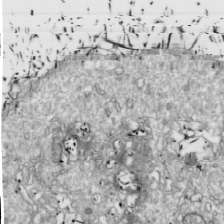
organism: Drosophila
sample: Cell division; meiosis; drosophila spermatocytes